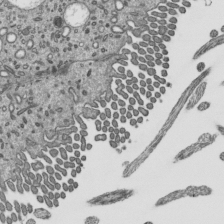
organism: Mouse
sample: Mouse epididymis efferent ductule cilia